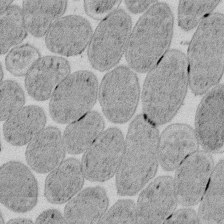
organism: E. coli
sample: Bacterial nucleoid